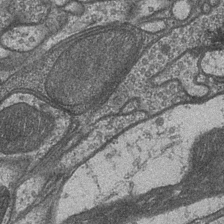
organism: Drosophila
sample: Optic medulla